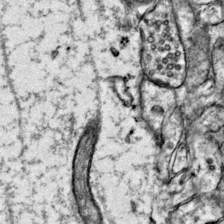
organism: Mouse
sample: Primary visual cortex